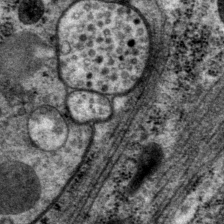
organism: P. pacificus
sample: Pharynx